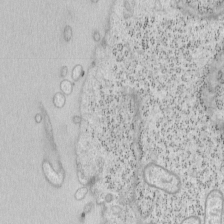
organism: Mouse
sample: OT-I killer T cells with ID8 ovarian cancer cells